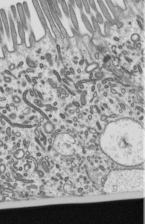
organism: Mouse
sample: Mouse epididymis efferent ductule cilia